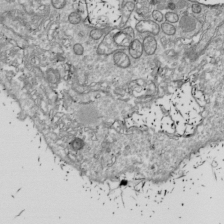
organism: Drosophila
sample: Cell division; meiosis; drosophila spermatocytes